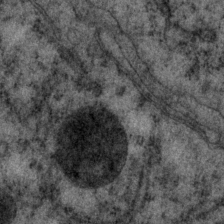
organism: P. pacificus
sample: Pharynx